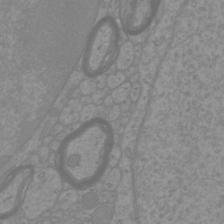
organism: Mouse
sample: Cortical neurons